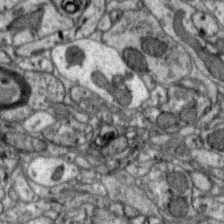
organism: Zebra finch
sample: Brain